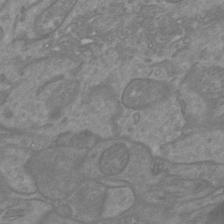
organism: Mouse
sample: Cortical neurons